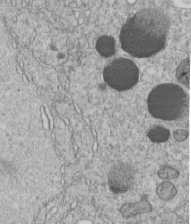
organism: C. elegans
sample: C. elegans embryo early stage